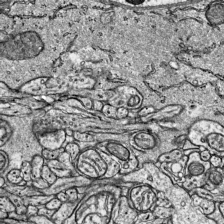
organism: Mouse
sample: Visual Cortex